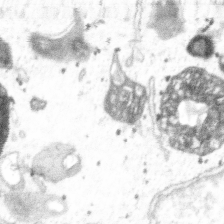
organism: Human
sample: HeLa cells